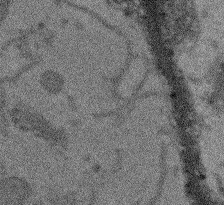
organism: Arabidopsis thaliana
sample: Root tip